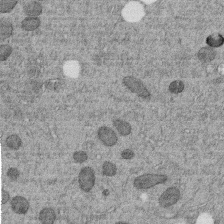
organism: C. elegans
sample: C. elegans embryo early stage